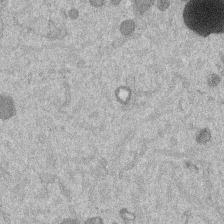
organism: Mouse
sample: Dividing mouse embryo 1 cell stage